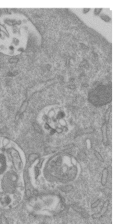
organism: Mouse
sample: ED-1 cell nuclei; centrioles